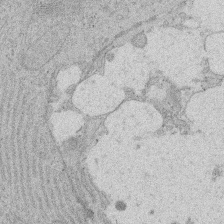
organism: Rat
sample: Salivary granule